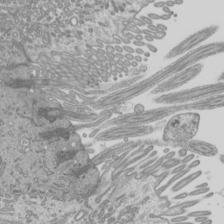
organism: Mouse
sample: Cilia; mouse epididymis